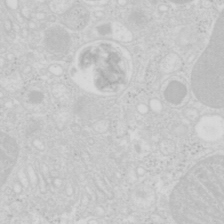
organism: Mouse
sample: Pancreas